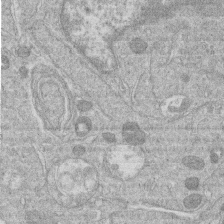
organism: Human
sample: Macrophage cells